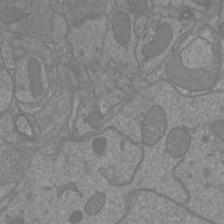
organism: Mouse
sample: Cortical neurons